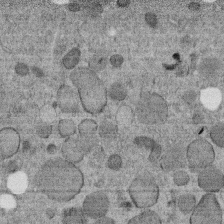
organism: C. elegans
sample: C. elegans embryo early stage